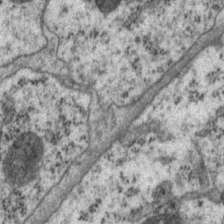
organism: P. pacificus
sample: Pharynx